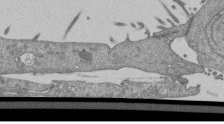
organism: Mouse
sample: ED-1 cell nuclei; centrioles